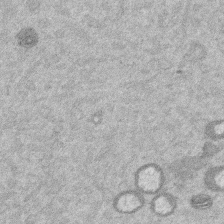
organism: Mouse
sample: Dividing mouse embryo 1 cell stage